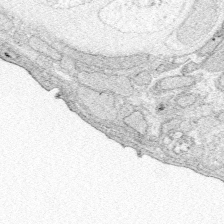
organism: Zebrafish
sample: Whole-Brain